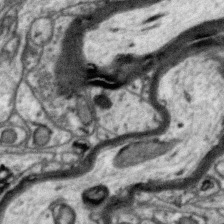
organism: Zebra finch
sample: Brain